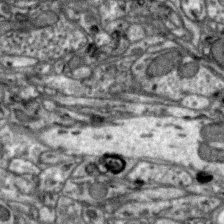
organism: Zebra finch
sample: Brain